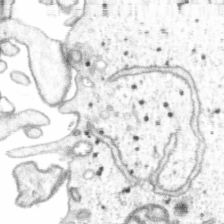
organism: Human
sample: HeLa cells